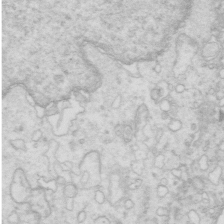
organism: Mouse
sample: Multiciliated cells